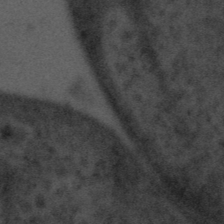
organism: Tuwongella immobilis